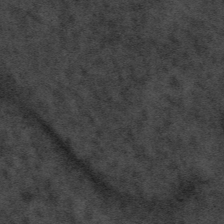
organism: Tuwongella immobilis